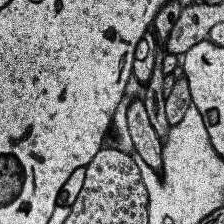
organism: Human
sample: Temporal Lobe